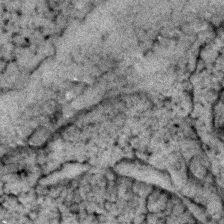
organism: Zebrafish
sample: Zebrafish embryo